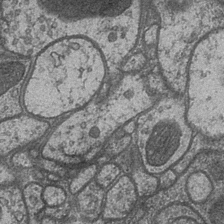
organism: Drosophila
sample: Optic medulla